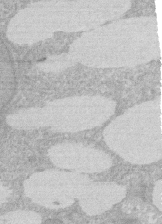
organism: Rat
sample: Salivary granule